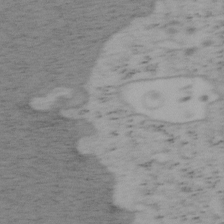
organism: Mouse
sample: OT-I killer T cells with ID8 ovarian cancer cells